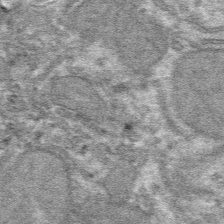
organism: Mouse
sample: Mouse hepatocytes